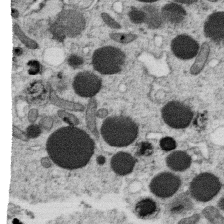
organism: C. elegans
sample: C. elegans oocyte; sperm cells